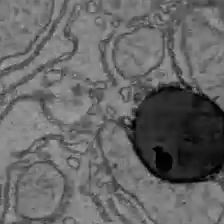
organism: C57BL Mouse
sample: Liver